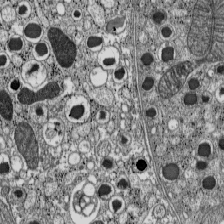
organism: C57BL Mouse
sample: Pancreatic islet